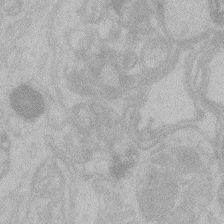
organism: Zebrafish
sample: Macrophage infected with Toxoplasma gondii